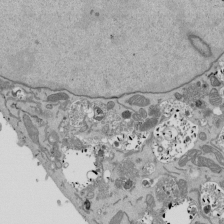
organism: Mouse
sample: ED-1 cell nuclei; centrioles